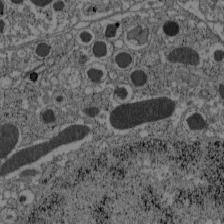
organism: C57BL Mouse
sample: Pancreatic islet